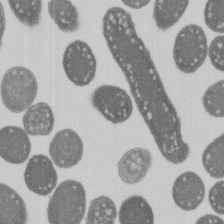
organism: E. coli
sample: Bacterial nucleoid